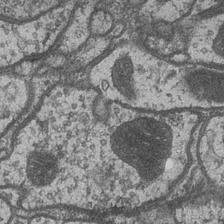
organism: Drosophila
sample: Optic medulla